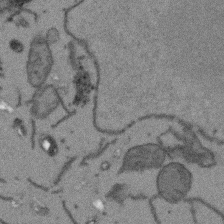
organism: Arabidopsis thaliana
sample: Root tip